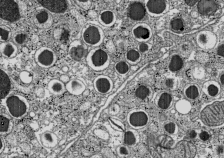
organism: C57BL Mouse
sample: Pancreatic islet